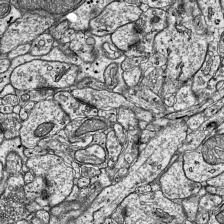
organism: Mouse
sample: Visual Cortex